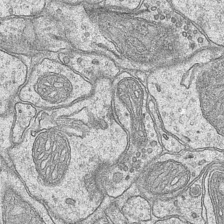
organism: Mouse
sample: CA1 Hippocampus